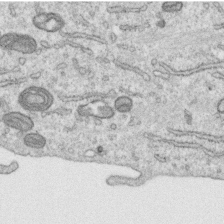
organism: Human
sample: Centriole in RPE cells